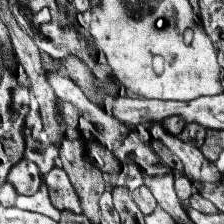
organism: Human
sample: Temporal Lobe